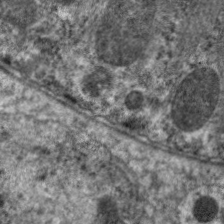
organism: C. elegans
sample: Pharynx